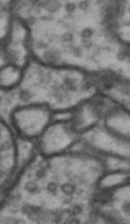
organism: Drosophila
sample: Brain